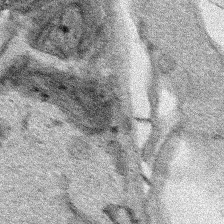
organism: Human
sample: Mitochondria in HCT116 cells